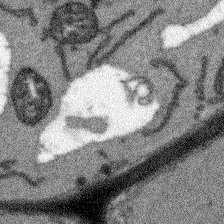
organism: Arabidopsis thaliana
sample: Root tip